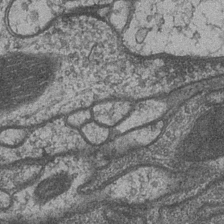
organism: Drosophila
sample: Optic medulla